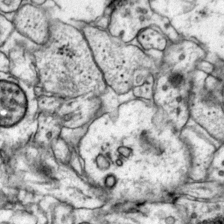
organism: Mouse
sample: Primary visual cortex